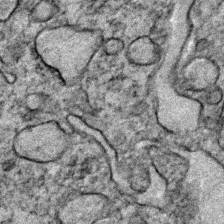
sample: Trachea